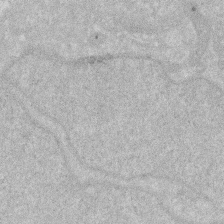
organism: Human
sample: HIV infected U937 cells